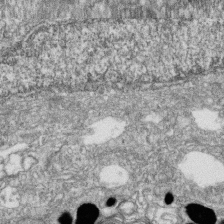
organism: Zebrafish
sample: Cilia; retinal pigment epithelium